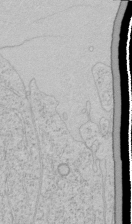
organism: Human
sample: Mitochondria in HCT116 cells